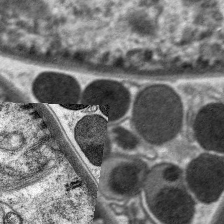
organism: C. elegans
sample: Pharynx